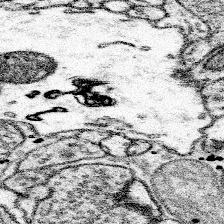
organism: Mouse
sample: Somatosensory cortex neuropil